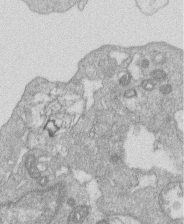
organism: Human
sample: Macrophage cells